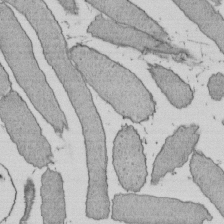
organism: E. coli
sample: Bacterial nucleoid